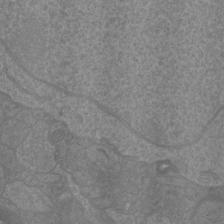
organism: Mouse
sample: Cortical neurons